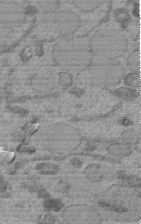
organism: C. elegans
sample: C. elegans embryo early stage